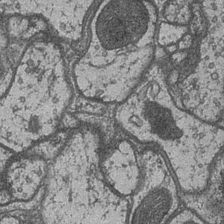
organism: Drosophila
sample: Optic medulla